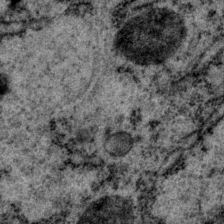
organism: P. pacificus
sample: Pharynx